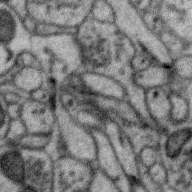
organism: Zebra finch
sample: Brain